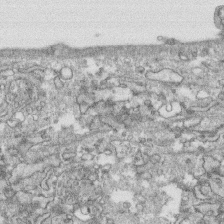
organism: Human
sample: CRL-1474